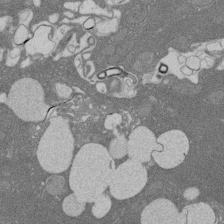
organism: Rat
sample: Salivary granule